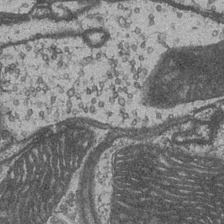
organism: Drosophila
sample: Optic medulla